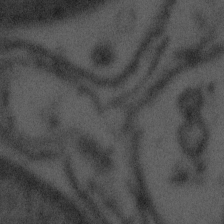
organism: Tuwongella immobilis